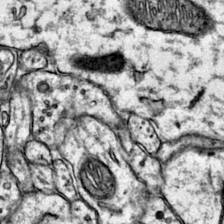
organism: Mouse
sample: Primary visual cortex